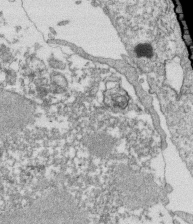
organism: Human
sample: HeLa cell HIV synapse